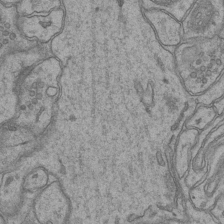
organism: Mouse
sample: CA1 Hippocampus